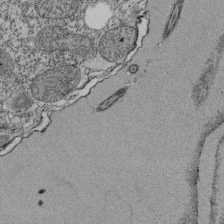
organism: Tetrahymena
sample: Cilia in tetrahymena